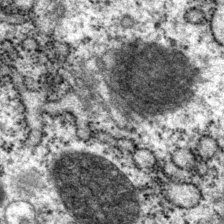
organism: P. pacificus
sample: Pharynx